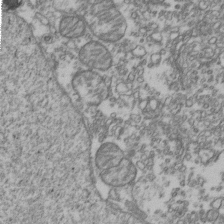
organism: Human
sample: Activated Jurkat CD4+ T cells